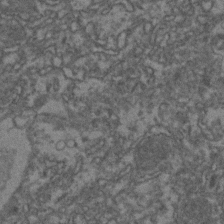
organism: Zebrafish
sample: Zebrafish embryo